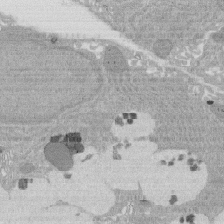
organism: Rat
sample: Salivary granule